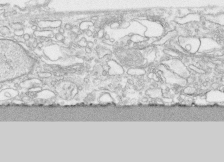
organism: Human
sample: CRL-1474